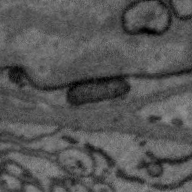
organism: Zebra finch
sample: Brain